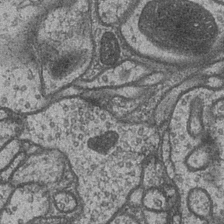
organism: Drosophila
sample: Optic medulla